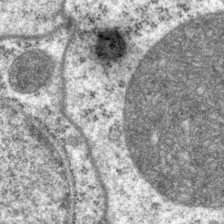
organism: P. pacificus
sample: Pharynx